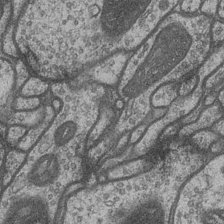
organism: Drosophila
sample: Optic medulla